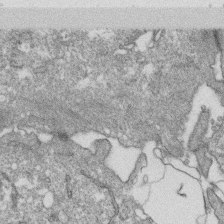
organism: African green monkey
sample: Vero E6 cells infected with SARS-CoV-2